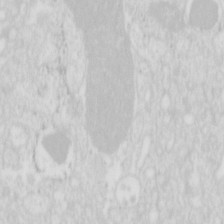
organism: Mouse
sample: Pancreas